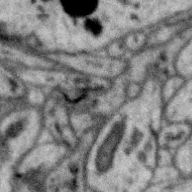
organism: Zebra finch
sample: Brain